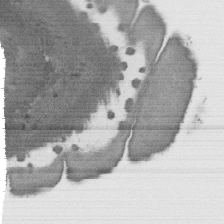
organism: C. elegans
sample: AFD neurons C. elegans